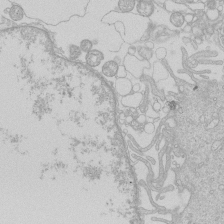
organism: Human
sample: Macrophage cells